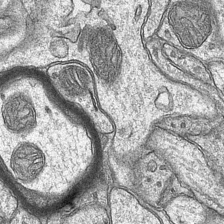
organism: Mouse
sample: CA1 Hippocampus